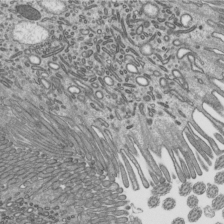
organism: Mouse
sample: Mouse epididymis efferent ductule cilia